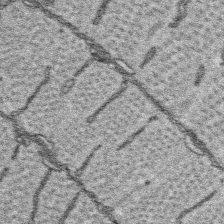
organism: Platynereis dumerilii